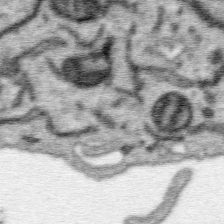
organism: Human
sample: HeLa cells